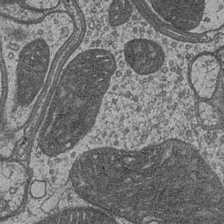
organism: Drosophila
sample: Optic medulla